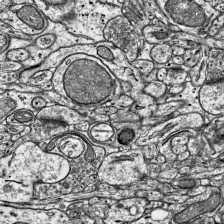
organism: Mouse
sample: Visual Cortex